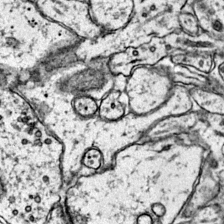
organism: Mouse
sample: Primary visual cortex